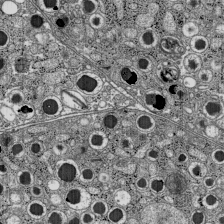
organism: C57BL Mouse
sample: Pancreatic islet